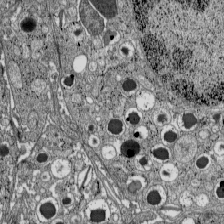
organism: C57BL Mouse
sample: Pancreatic islet